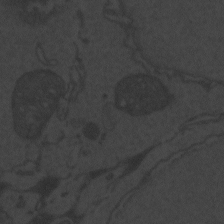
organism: Zebrafish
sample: Macrophage infected with Toxoplasma gondii